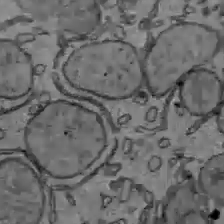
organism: C57BL Mouse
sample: Liver